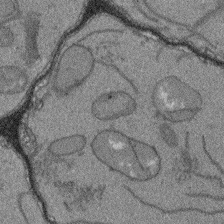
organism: Arabidopsis thaliana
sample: Root tip